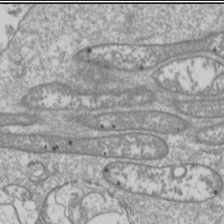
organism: Drosophila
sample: Cell division; meiosis; drosophila spermatocytes